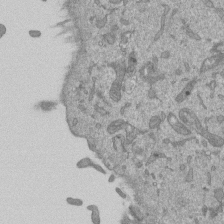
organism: Mouse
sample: ED-1 cell nuclei; centrioles